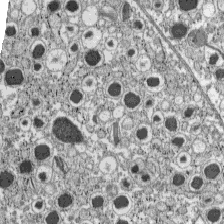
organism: C57BL Mouse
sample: Pancreatic islet